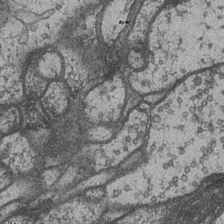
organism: Drosophila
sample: Optic medulla